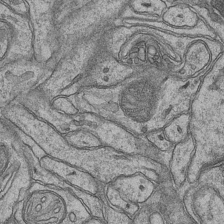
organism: Mouse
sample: CA1 Hippocampus